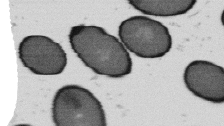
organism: B. subtilis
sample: Bacterial spore